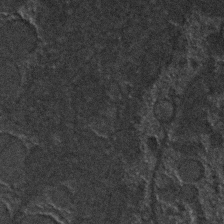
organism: C. elegans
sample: C. elegans embryo